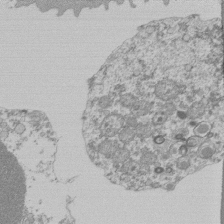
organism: Mouse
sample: Activated Pmel transgenic CD8+ T Cells